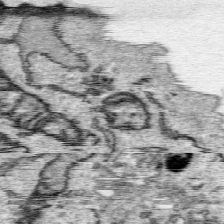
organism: Human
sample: HeLa cells